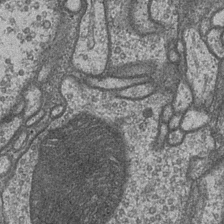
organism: Drosophila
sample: Optic medulla